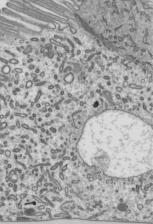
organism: Mouse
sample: Mouse epididymis efferent ductule cilia